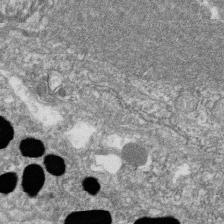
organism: Zebrafish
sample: Cilia; retinal pigment epithelium